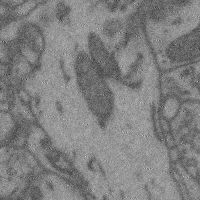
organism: Mouse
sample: Cerebral cortex